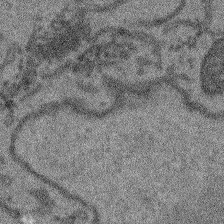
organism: Arabidopsis thaliana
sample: Root tip